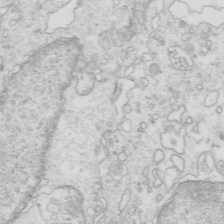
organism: Mouse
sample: Multiciliated cells